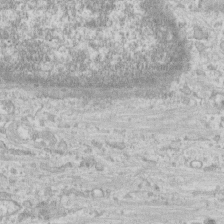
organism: Human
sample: CRL-1474